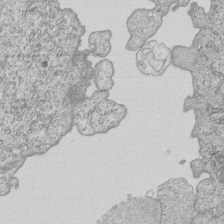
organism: Human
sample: MDA-MB-231 cells